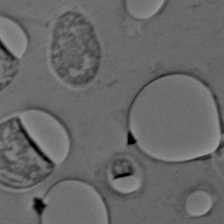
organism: C. elegans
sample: C. elegans embryo